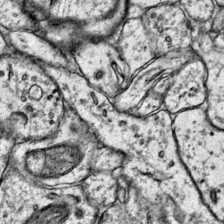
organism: Mouse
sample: Primary visual cortex